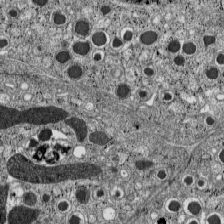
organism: C57BL Mouse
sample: Pancreatic islet